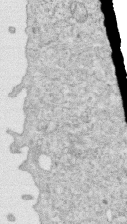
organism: Human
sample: HeLa cell HIV synapse